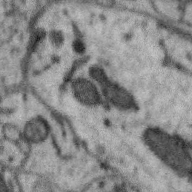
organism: Zebra finch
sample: Brain